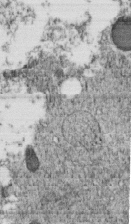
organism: C. elegans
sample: C. elegans embryo early stage